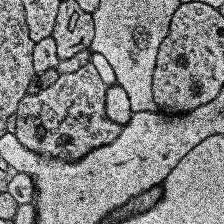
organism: Human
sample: Temporal Lobe